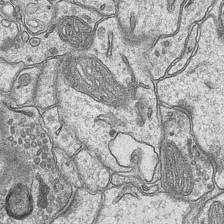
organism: Mouse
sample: CA1 Hippocampus